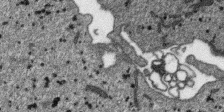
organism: Human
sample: Lung epithelial cells infected with SARS-CoV-2